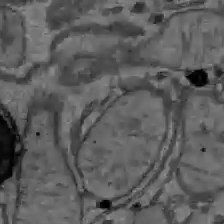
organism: C57BL Mouse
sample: Liver